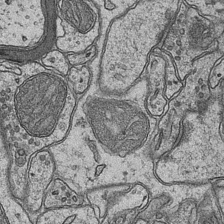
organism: Mouse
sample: CA1 Hippocampus